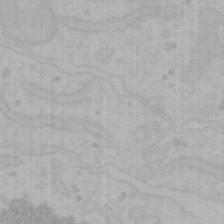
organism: Mouse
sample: Choroid plexus